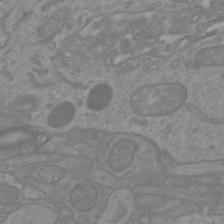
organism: Mouse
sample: Cortical neurons